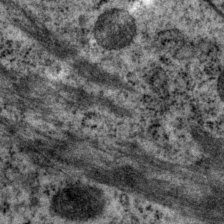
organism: P. pacificus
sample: Pharynx